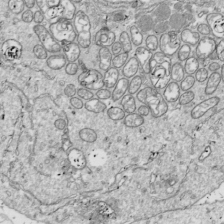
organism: Drosophila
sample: Cell division; meiosis; drosophila spermatocytes